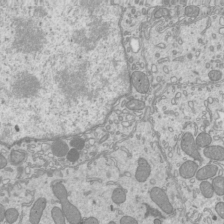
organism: Mouse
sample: Cilia; mouse epididymis